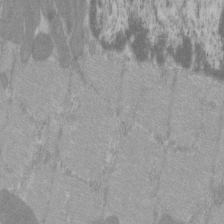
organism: C57BL Mouse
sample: Tibialis anterior muscle cell